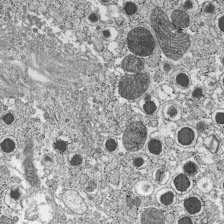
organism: C57BL Mouse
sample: Pancreatic islet